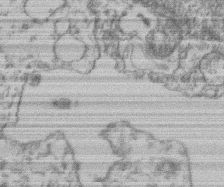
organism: Mouse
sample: T cell stromal cell synapse